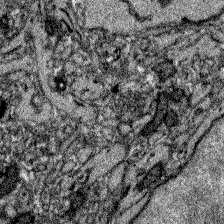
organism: Zebrafish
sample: Larval olfactory bulb